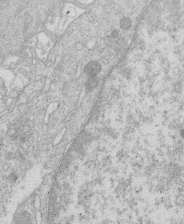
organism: Human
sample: Macrophage cells